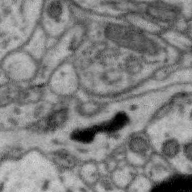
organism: Zebra finch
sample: Brain